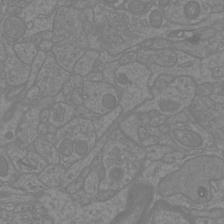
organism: Mouse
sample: Cortical neurons